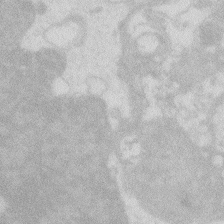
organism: Zebrafish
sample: Macrophage